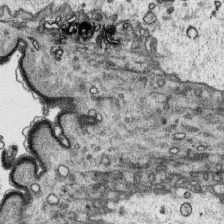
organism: Platynereis dumerilii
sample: Parapodia